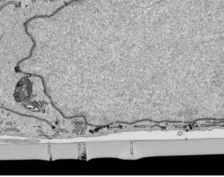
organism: Human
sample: Mitochondria in HCT116 cells